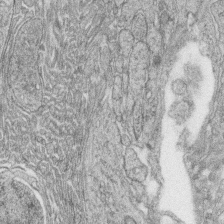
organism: Zebrafish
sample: synaptic ribbons in rod cells and cone cells